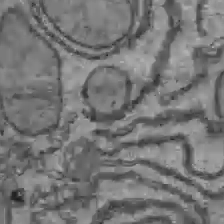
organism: C57BL Mouse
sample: Liver